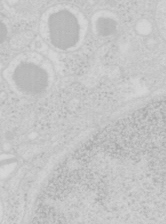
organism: Mouse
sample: Pancreas